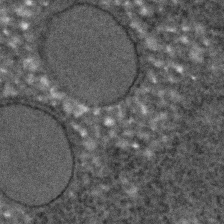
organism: C. elegans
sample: C. elegans embryo